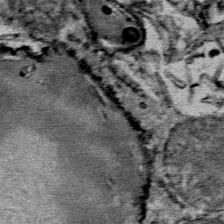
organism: Mouse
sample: Mouse Salivary gland